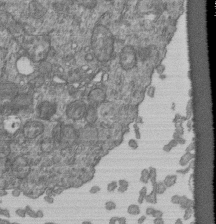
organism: Human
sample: Retinal organoid Rod and Cone cells